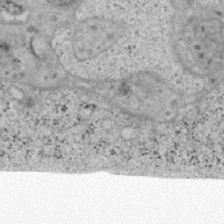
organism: Mouse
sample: OT-I killer T cells with ID8 ovarian cancer cells